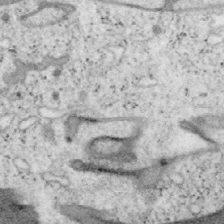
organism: Mouse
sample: OT-I killer T cells with ID8 ovarian cancer cells